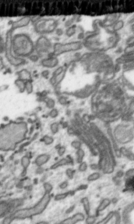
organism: Toxoplasma gondii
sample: Parasites in a vacuole inside a host cell